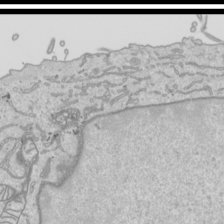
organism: Human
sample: Mitochondria in HCT116 cells